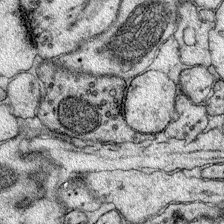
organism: Mouse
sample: Primary visual cortex